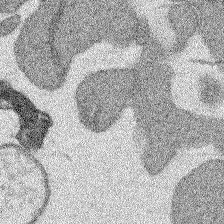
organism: Human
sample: HeLa cells